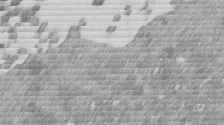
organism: Mouse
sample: Dividing mouse embryo 1 cell stage